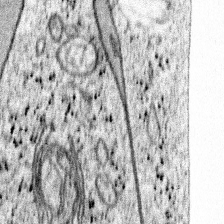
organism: Human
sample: HeLa cells